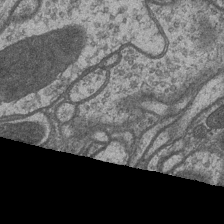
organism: Drosophila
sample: Optic medulla